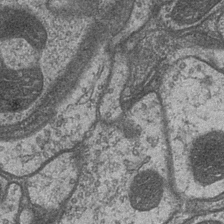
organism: Drosophila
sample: Optic medulla